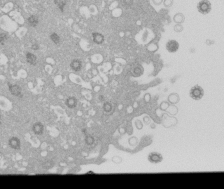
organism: Xenopus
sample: Cilia; centrioles in frog embryo cells